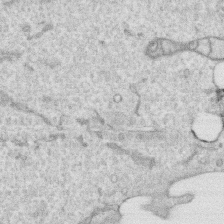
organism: Human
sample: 1205lu cells